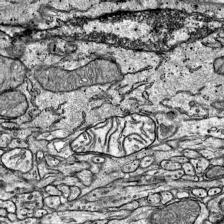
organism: Mouse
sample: Visual Cortex